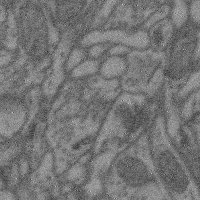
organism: Mouse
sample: Cerebral cortex